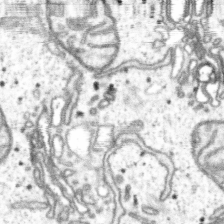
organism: Human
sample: HeLa cells